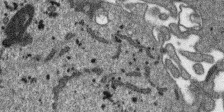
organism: Human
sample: Lung epithelial cells infected with SARS-CoV-2